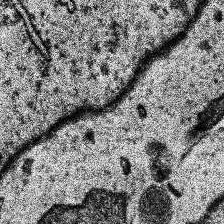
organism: Human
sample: Temporal Lobe